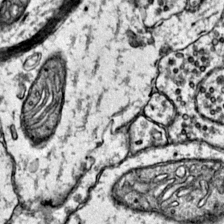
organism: Mouse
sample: Primary visual cortex